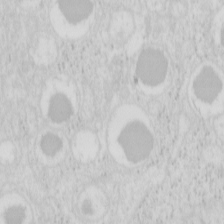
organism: Mouse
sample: Pancreas